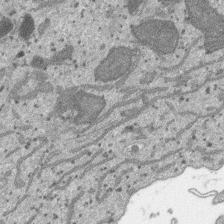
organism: Human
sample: Lung epithelial cells infected with SARS-CoV-2